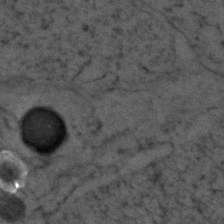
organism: Zebrafish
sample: Zebrafish embryo